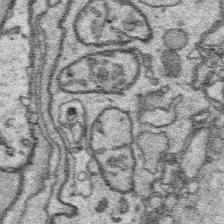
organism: Platynereis dumerilii